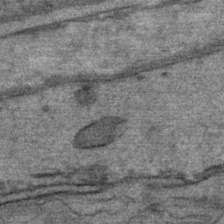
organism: Mouse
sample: Mouse Salivary gland